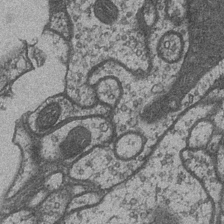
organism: Drosophila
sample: Optic medulla